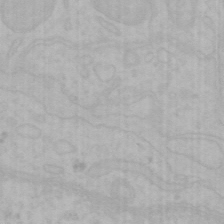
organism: Mouse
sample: Choroid plexus